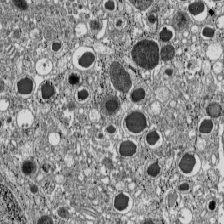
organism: C57BL Mouse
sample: Pancreatic islet